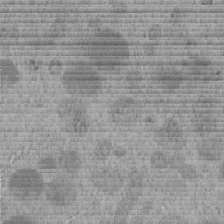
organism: C. elegans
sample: C. elegans embryo early stage